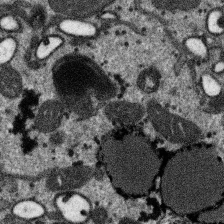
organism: Human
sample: Lung epithelial cells infected with SARS-CoV-2